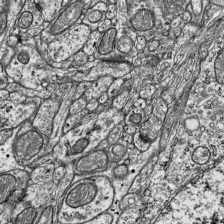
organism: Mouse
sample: Visual Cortex